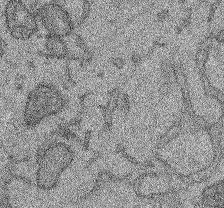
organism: Human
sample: HeLa cells